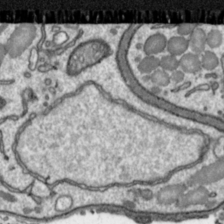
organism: Toxoplasma gondii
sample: Parasites in a vacuole inside a host cell